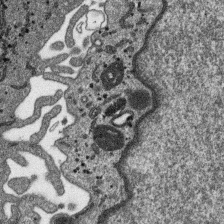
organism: Human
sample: Lung epithelial cells infected with SARS-CoV-2